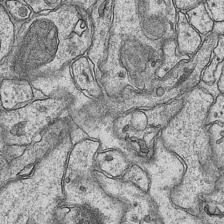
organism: Mouse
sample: CA1 Hippocampus